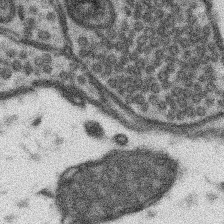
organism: Mouse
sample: Somatosensory cortex neuropil